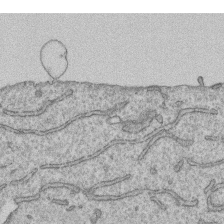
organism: Human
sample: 1205lu cells